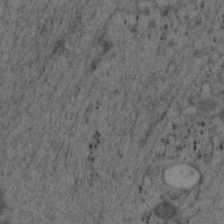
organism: Human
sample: HeLa cells